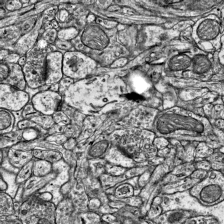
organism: Mouse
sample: Visual Cortex